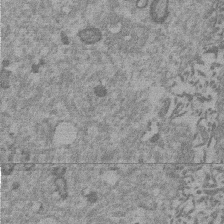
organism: Mouse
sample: Dividing mouse embryo 1 cell stage